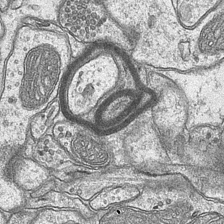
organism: Mouse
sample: CA1 Hippocampus